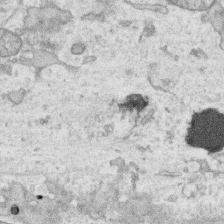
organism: Human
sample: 1205lu cells